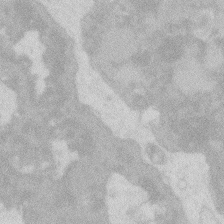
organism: Zebrafish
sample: Macrophage